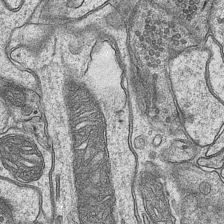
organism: Mouse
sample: CA1 Hippocampus